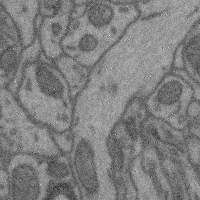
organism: Mouse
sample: Cerebral cortex